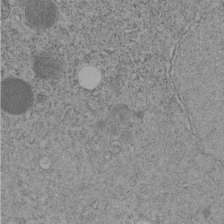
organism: C. elegans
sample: C. elegans embryo early stage